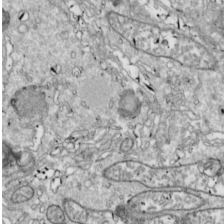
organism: Drosophila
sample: Cell division; meiosis; drosophila spermatocytes